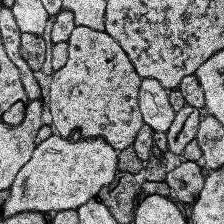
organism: Human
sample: Temporal Lobe